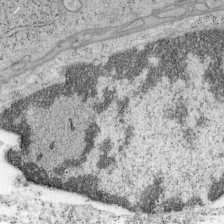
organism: Mouse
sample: OT-I killer T cells with ID8 ovarian cancer cells